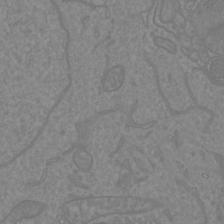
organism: Mouse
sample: Cortical neurons